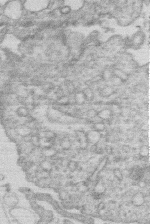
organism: Human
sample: Macrophage cells